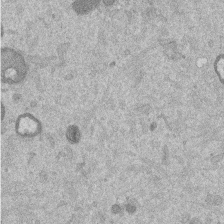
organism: Mouse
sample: Dividing mouse embryo 1 cell stage